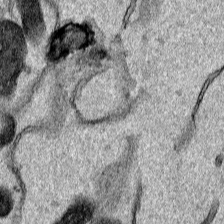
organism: Human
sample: Mitochondria in HCT116 cells